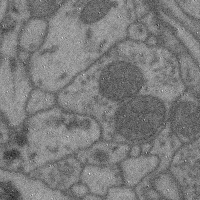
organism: Mouse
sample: Cerebral cortex